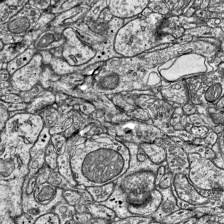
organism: Mouse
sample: Visual Cortex